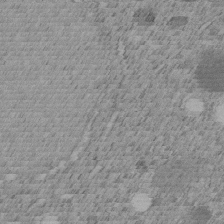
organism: C. elegans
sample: C. elegans embryo early stage